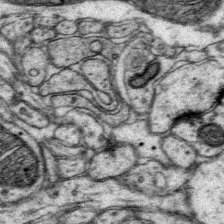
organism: Mouse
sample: Primary visual cortex